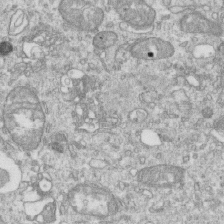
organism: Mouse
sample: Activated OT-1 CD8+ T cells